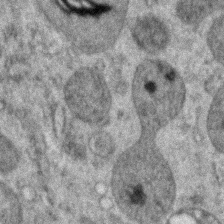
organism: Zebrafish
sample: Zebrafish embryo